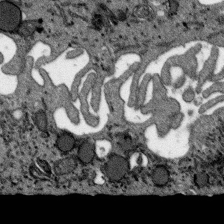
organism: Human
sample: Lung epithelial cells, uninfected (mock) control